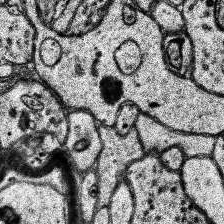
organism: Human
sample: Temporal Lobe